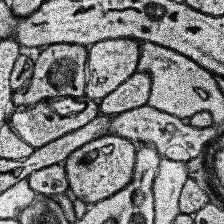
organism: Human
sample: Temporal Lobe